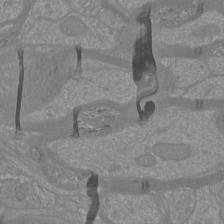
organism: Mouse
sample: Cortical neurons